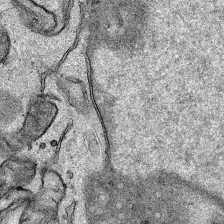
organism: Human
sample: Mitochondria in HCT116 cells